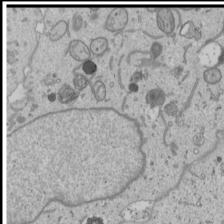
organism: Human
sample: Mitochondria in U2OS cells